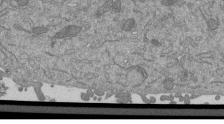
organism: Mouse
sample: ED-1 cell nuclei; centrioles